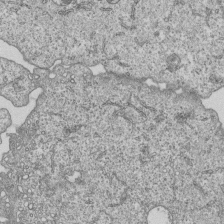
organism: Human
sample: MDA-MB-231 cells